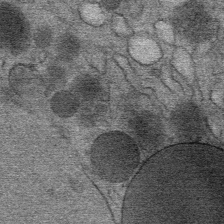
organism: Mouse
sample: Mouse Salivary gland